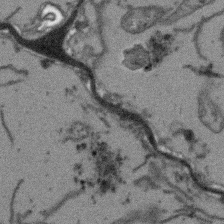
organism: Arabidopsis thaliana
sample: Root tip